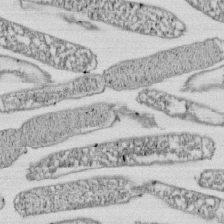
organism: E. coli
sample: Bacterial nucleoid